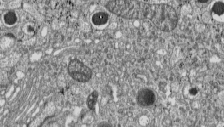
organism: C57BL Mouse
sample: Pancreatic islet